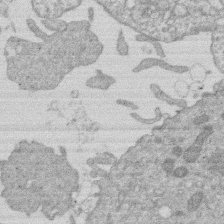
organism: Human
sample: Macrophage cells